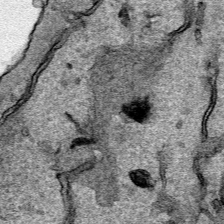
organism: Human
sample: Mitochondria in HCT116 cells